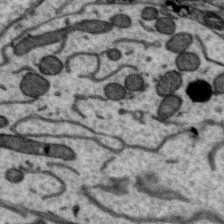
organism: Zebra finch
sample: Brain